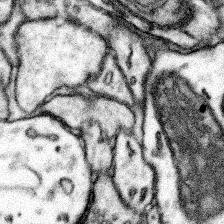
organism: Mouse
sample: Somatosensory cortex neuropil